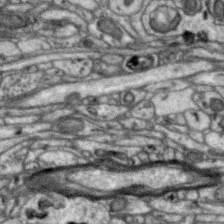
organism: Zebra finch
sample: Brain